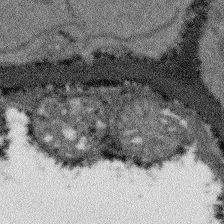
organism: Arabidopsis thaliana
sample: Root tip